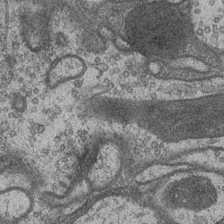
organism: Drosophila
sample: Optic medulla